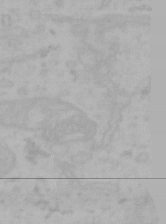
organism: Mouse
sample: Choroid plexus